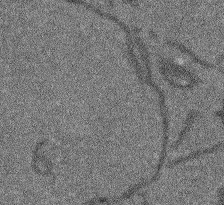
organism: Arabidopsis thaliana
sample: Root tip